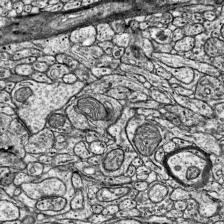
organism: Mouse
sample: Visual Cortex